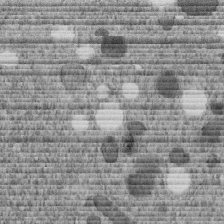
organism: C. elegans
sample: C. elegans embryo early stage